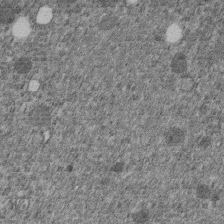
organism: C. elegans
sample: C. elegans embryo early stage